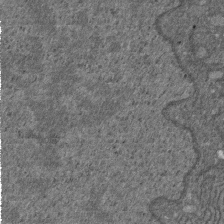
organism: Drosophila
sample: Nephrocyte